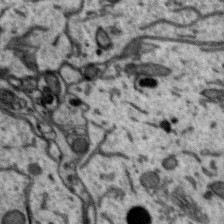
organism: Zebra finch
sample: Brain